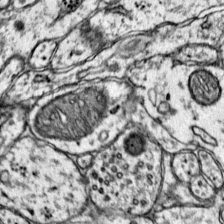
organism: Mouse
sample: Primary visual cortex